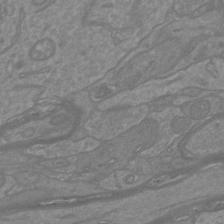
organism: Mouse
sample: Cortical neurons